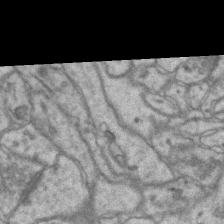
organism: Mouse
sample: CA1 Hippocampus